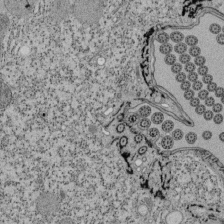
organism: Tetrahymena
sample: Cilia in tetrahymena